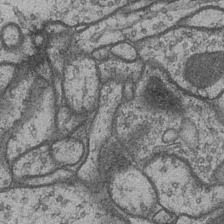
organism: Drosophila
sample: Optic medulla